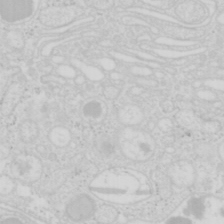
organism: Mouse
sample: Pancreas